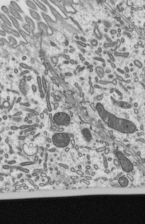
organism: Mouse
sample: Mouse epididymis efferent ductule cilia